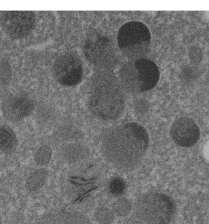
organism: C. elegans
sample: C. elegans embryo early stage